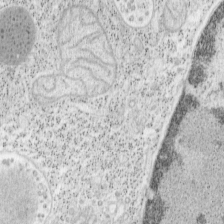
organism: Mouse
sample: OT-I killer T cells with ID8 ovarian cancer cells